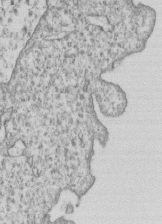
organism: Human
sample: MDA-MB-231 cells